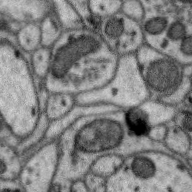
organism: Zebra finch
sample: Brain